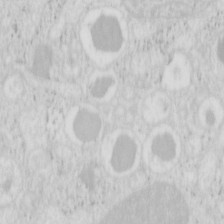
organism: Mouse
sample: Pancreas